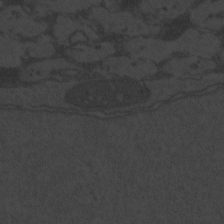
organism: Zebrafish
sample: Macrophage infected with Toxoplasma gondii